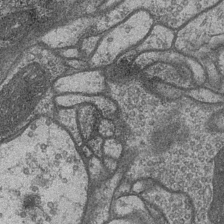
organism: Drosophila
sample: Optic medulla